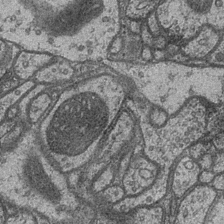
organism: Drosophila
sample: Optic medulla